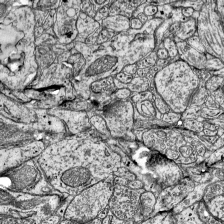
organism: Mouse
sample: Visual Cortex